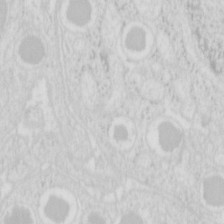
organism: Mouse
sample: Pancreas